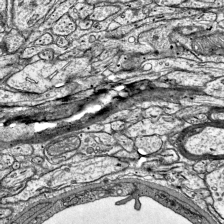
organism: Mouse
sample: Visual Cortex